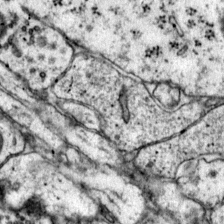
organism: Mouse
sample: Primary visual cortex